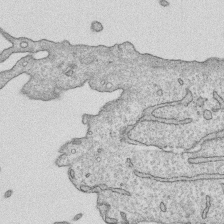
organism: Human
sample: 1205lu cells